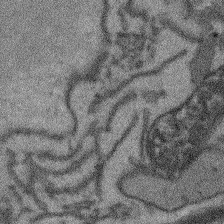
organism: Arabidopsis thaliana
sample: Root tip